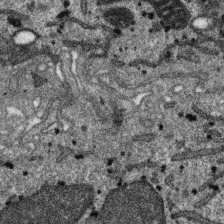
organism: Human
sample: Lung epithelial cells infected with SARS-CoV-2